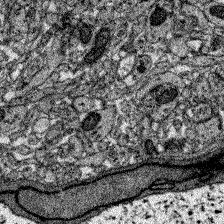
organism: Zebrafish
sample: Larval olfactory bulb